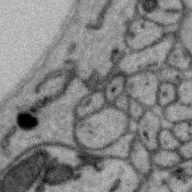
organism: Zebra finch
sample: Brain